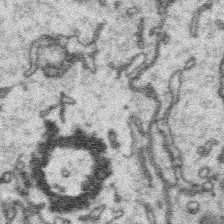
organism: Platynereis dumerilii